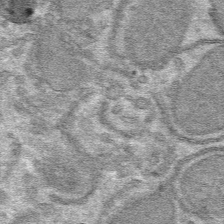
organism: Mouse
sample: Mouse hepatocytes